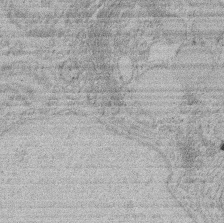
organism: Rat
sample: Salivary granule